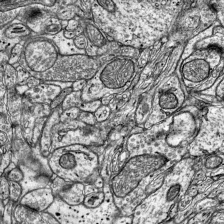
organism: Mouse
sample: Visual Cortex